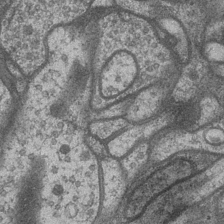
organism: Drosophila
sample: Optic medulla